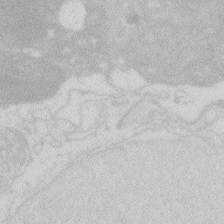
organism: Zebrafish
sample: Macrophage